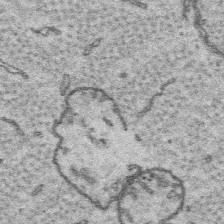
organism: Platynereis dumerilii